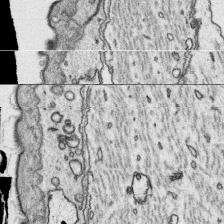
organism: Platynereis dumerilii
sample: Parapodia